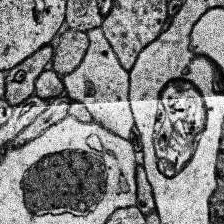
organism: Human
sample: Temporal Lobe